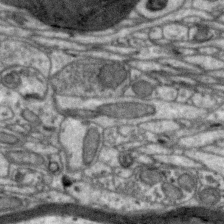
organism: Zebra finch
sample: Brain